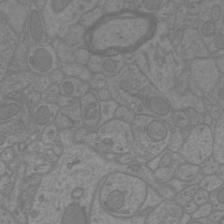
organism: Mouse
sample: Cortical neurons